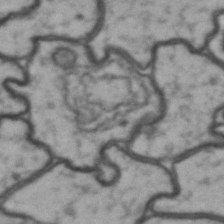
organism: Drosophila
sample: Brain